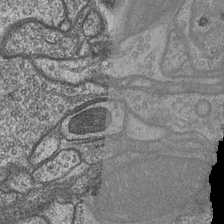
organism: Drosophila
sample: Optic medulla